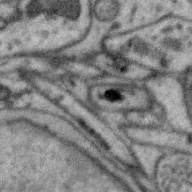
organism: Zebra finch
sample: Brain